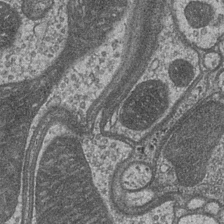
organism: Drosophila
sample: Optic medulla